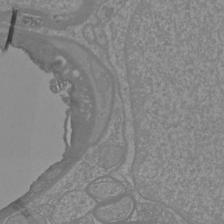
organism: Mouse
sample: Cortical neurons